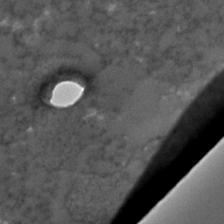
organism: C. elegans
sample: C. elegans embryo